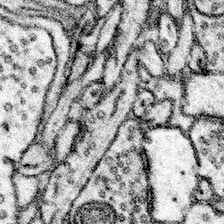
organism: Mouse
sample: Somatosensory cortex neuropil